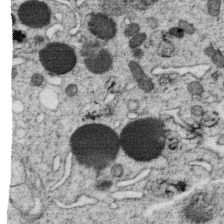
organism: C. elegans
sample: C. elegans oocyte; sperm cells